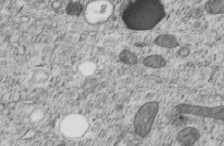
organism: C. elegans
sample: C. elegans embryo early stage